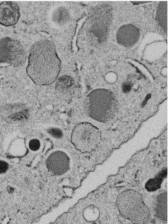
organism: C. elegans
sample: C. elegans embryo early stage